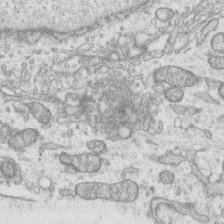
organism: Human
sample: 1205lu cells